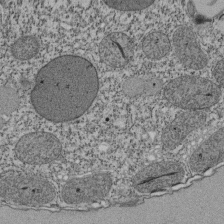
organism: Tetrahymena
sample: Cilia in tetrahymena